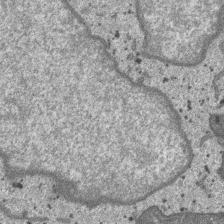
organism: Human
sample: Lung epithelial cells infected with SARS-CoV-2